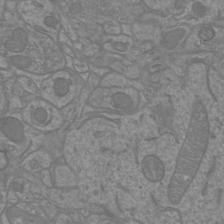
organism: Mouse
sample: Cortical neurons